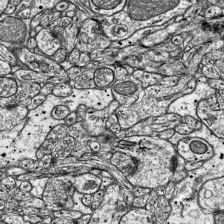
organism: Mouse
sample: Visual Cortex